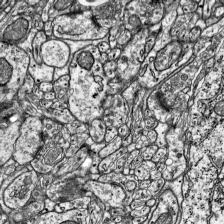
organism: Mouse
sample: Visual Cortex